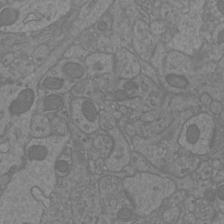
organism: Mouse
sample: Cortical neurons